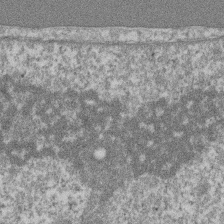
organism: Mouse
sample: T cell stromal cell synapse